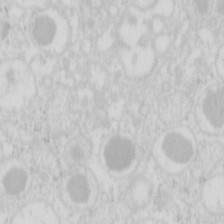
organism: Mouse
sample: Pancreas